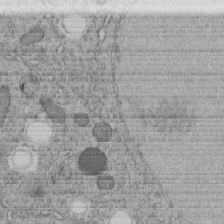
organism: C. elegans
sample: C. elegans embryo early stage